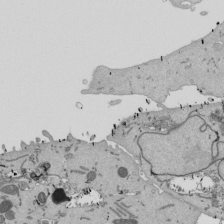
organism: Mouse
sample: ED-1 cell nuclei; centrioles